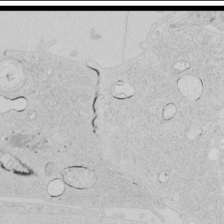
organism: Human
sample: Mitochondria in HCT116 cells